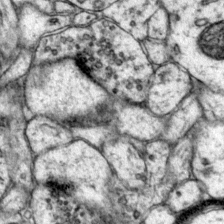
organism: Mouse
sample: Primary visual cortex